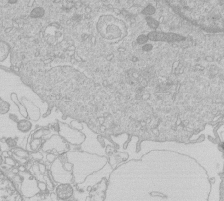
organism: Human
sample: Macrophage cells